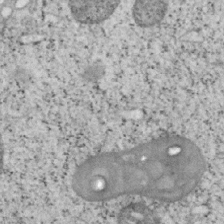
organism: Mouse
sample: OT-I killer T cells with ID8 ovarian cancer cells